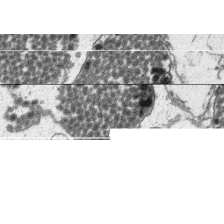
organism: Platynereis dumerilii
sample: Parapodia